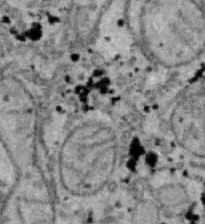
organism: Mouse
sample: Liver from an obese (ob/ob) mouse